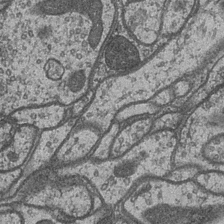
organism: Drosophila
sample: Optic medulla